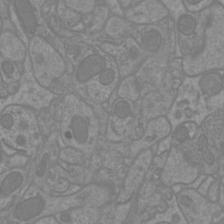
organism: Mouse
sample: Cortical neurons